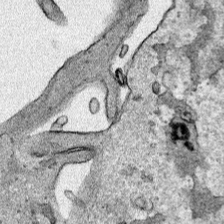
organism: Human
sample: Mitochondria in HCT116 cells